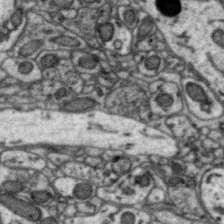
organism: Zebra finch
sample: Brain